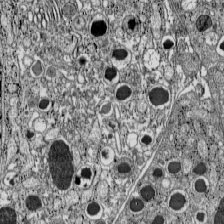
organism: C57BL Mouse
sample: Pancreatic islet